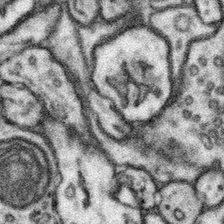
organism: Mouse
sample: Somatosensory cortex neuropil